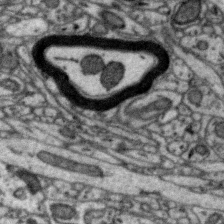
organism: Zebra finch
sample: Brain